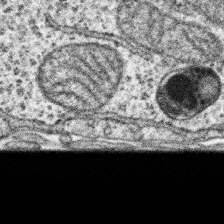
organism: Human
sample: HeLa cells